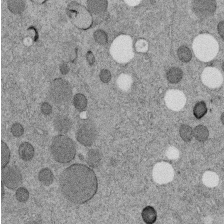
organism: C. elegans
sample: C. elegans embryo early stage